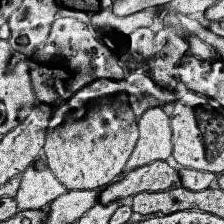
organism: Human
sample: Temporal Lobe